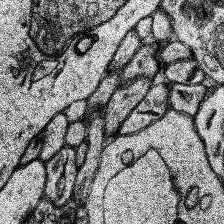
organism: Human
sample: Temporal Lobe